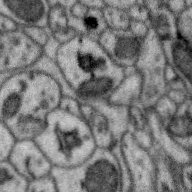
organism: Zebra finch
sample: Brain